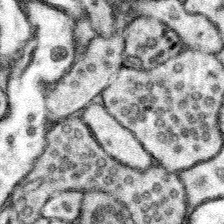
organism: Mouse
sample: Somatosensory cortex neuropil